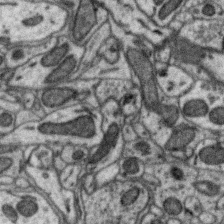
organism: Zebra finch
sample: Brain